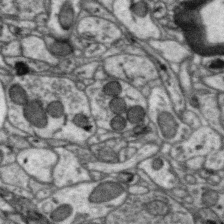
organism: Zebra finch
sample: Brain